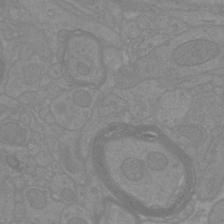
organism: Mouse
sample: Cortical neurons